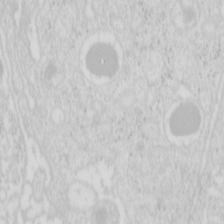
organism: Mouse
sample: Pancreas